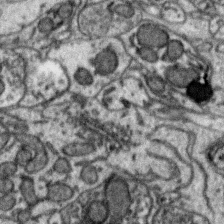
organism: Zebra finch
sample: Brain